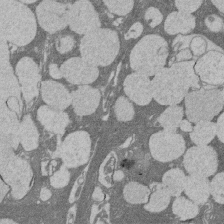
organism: Rat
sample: Salivary granule